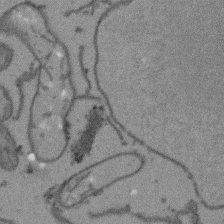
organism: Arabidopsis thaliana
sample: Root tip